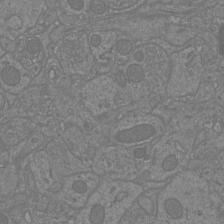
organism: Mouse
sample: Cortical neurons